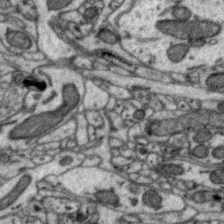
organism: Zebra finch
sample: Brain